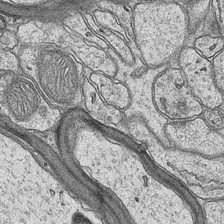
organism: Mouse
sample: CA1 Hippocampus